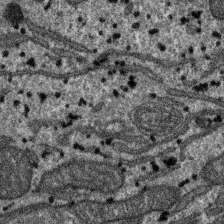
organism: Human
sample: Lung epithelial cells infected with SARS-CoV-2